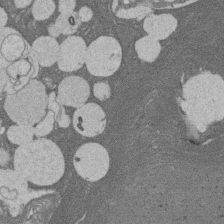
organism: Rat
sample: Salivary granule